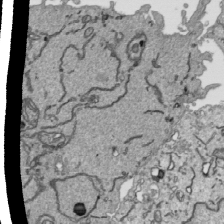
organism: Human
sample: Mitochondria in HCT116 cells